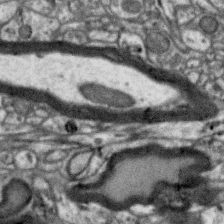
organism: Zebra finch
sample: Brain